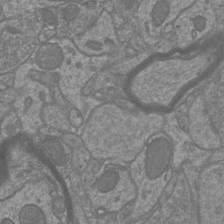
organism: Mouse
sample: Cortical neurons